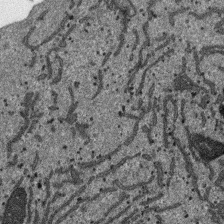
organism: Human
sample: Lung epithelial cells infected with SARS-CoV-2